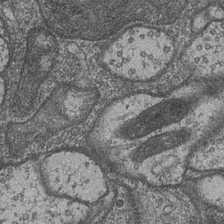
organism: Drosophila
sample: Optic medulla